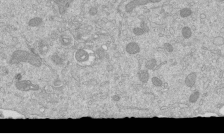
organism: Mouse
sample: ED-1 cell nuclei; centrioles